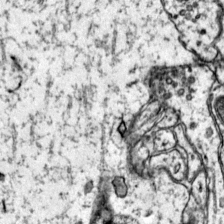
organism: Mouse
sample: Primary visual cortex